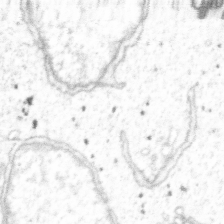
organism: Human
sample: HeLa cells